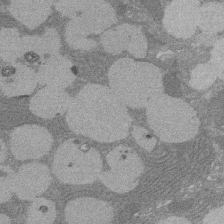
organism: Rat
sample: Salivary granule